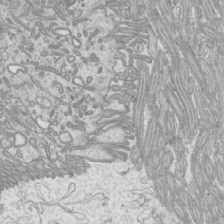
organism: Mouse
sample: Cilia; mouse epididymis